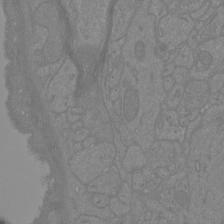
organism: Mouse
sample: Cortical neurons